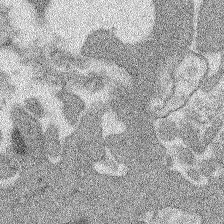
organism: Human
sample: HeLa cells